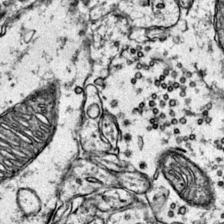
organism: Mouse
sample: Primary visual cortex